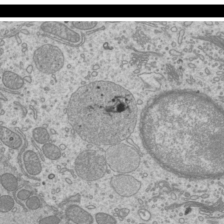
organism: Mouse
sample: Cilia; mouse epididymis